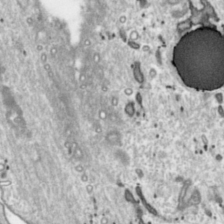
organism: Toxoplasma gondii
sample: Parasites in a vacuole inside a host cell